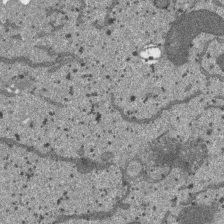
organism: Human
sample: Lung epithelial cells infected with SARS-CoV-2